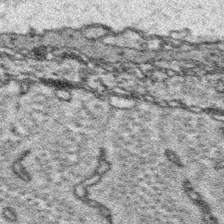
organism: Platynereis dumerilii